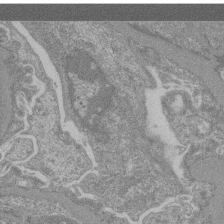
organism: Mouse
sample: Glomerulus